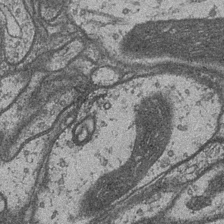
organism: Drosophila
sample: Optic medulla